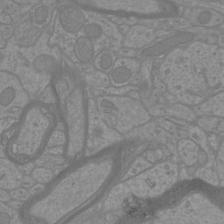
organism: Mouse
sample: Cortical neurons